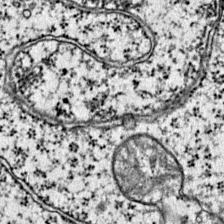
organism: Mouse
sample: Primary visual cortex